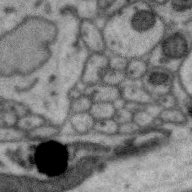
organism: Zebra finch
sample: Brain